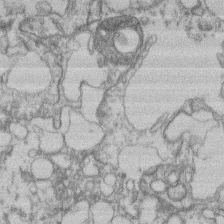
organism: Mouse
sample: T cell stromal cell synapse